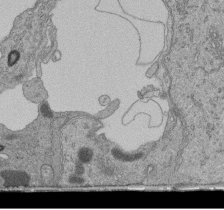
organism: Human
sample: Retinal organoid Rod and Cone cells